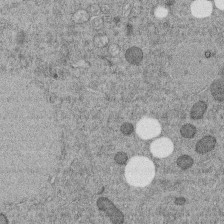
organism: C. elegans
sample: C. elegans embryo early stage